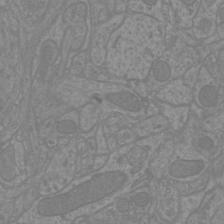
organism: Mouse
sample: Cortical neurons